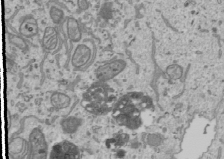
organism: Human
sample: Mitochondria in U2OS cells